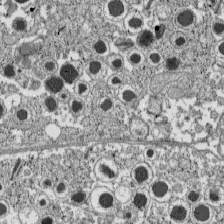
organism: C57BL Mouse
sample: Pancreatic islet